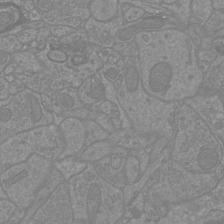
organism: Mouse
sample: Cortical neurons